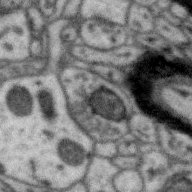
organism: Zebra finch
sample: Brain